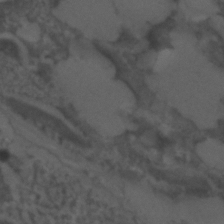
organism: C. elegans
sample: C. elegans embryo